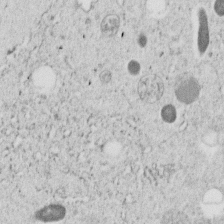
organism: C. elegans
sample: C. elegans embryo early stage